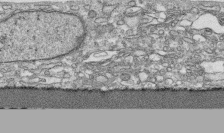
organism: Human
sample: CRL-1474